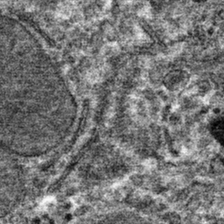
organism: Mouse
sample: Mouse hepatocytes